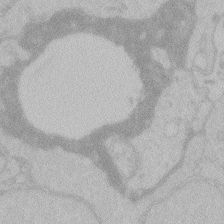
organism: Zebrafish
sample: Macrophage infected with Toxoplasma gondii